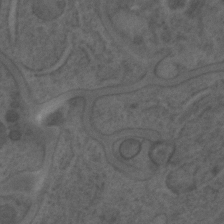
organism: C. elegans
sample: C. elegans embryo